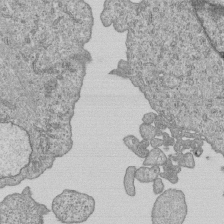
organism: Human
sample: MDA-MB-231 cells